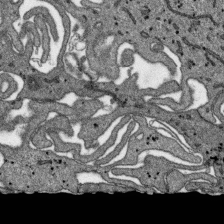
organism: Human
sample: Lung epithelial cells, uninfected (mock) control